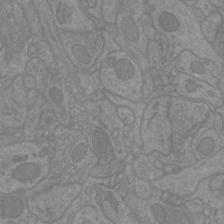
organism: Mouse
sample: Cortical neurons